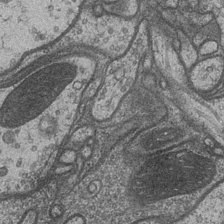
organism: Drosophila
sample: Optic medulla